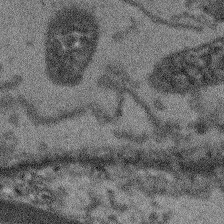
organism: Arabidopsis thaliana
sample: Root tip